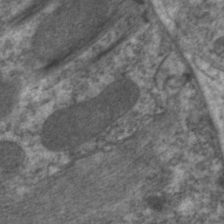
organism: C. elegans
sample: Pharynx